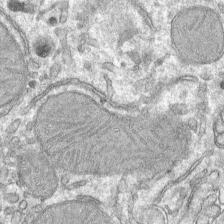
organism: Mouse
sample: Mouse hepatocytes